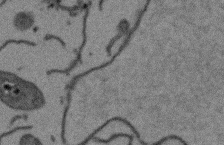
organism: Arabidopsis thaliana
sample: Root tip